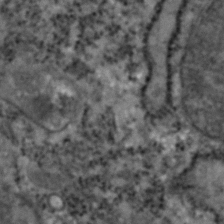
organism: Zebrafish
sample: Zebrafish embryo